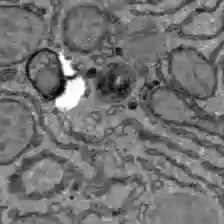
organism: C57BL Mouse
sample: Liver